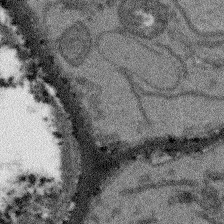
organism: Arabidopsis thaliana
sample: Root tip